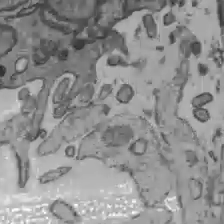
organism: C57BL Mouse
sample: Liver